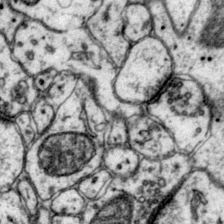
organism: Mouse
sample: Primary visual cortex